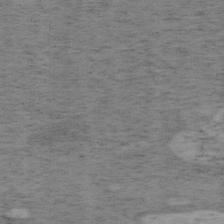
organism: Mouse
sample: OT-I killer T cells with ID8 ovarian cancer cells